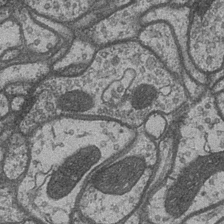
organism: Drosophila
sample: Optic medulla